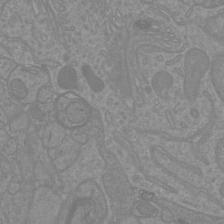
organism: Mouse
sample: Cortical neurons